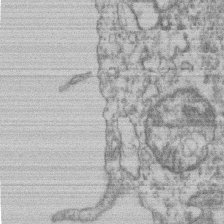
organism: Mouse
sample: T cell stromal cell synapse